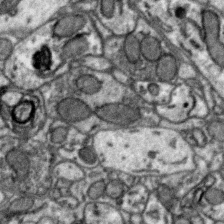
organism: Zebra finch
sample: Brain